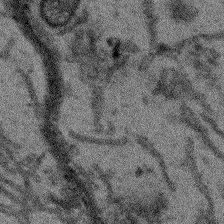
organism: Arabidopsis thaliana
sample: Root tip